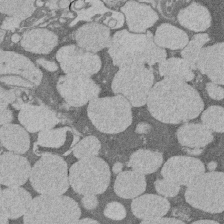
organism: Rat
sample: Salivary granule